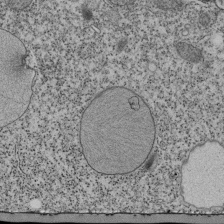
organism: Tetrahymena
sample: Cilia in tetrahymena